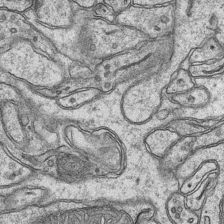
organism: Mouse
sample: CA1 Hippocampus